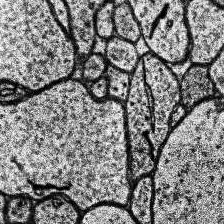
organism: Human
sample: Temporal Lobe